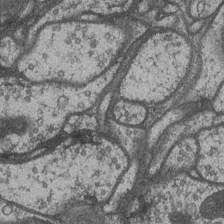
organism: Drosophila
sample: Optic medulla